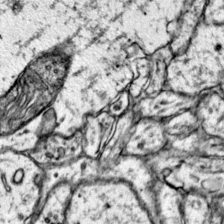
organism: Mouse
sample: Primary visual cortex